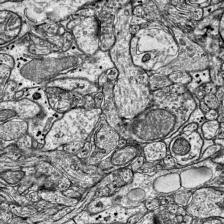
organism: Mouse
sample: Visual Cortex